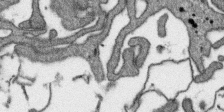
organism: Human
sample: Lung epithelial cells, uninfected (mock) control